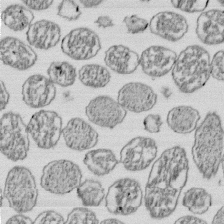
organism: E. coli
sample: Bacterial nucleoid